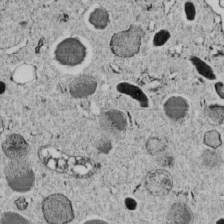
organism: C. elegans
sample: C. elegans embryo early stage